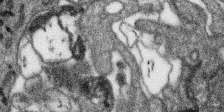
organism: Human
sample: Lung epithelial cells infected with SARS-CoV-2